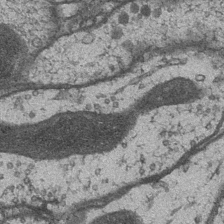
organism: Drosophila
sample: Optic medulla